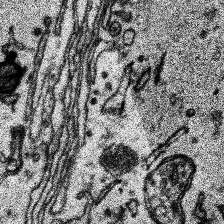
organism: Human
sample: Temporal Lobe